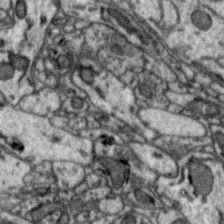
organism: Zebra finch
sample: Brain